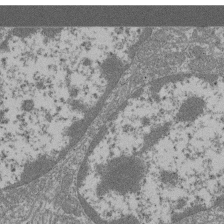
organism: Mouse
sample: Glomerulus